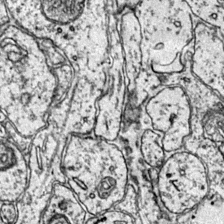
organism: Mouse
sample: Primary visual cortex